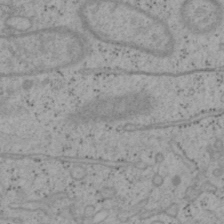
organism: Human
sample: HeLa cells